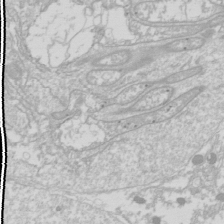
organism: Drosophila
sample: Cell division; meiosis; drosophila spermatocytes